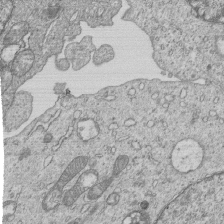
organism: Human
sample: MDA-MB-231 cells